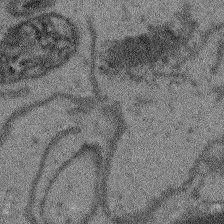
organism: Arabidopsis thaliana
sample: Root tip